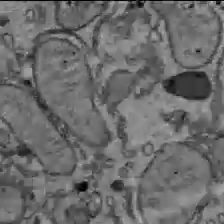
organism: C57BL Mouse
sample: Liver